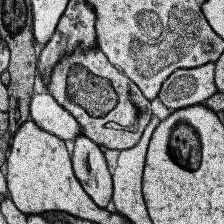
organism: Human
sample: Temporal Lobe